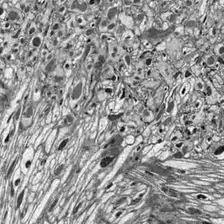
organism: Drosophila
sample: Optic lobe